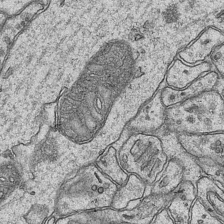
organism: Mouse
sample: CA1 Hippocampus